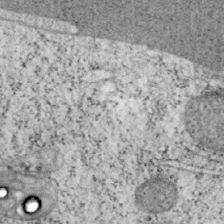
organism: Mouse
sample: OT-I killer T cells with ID8 ovarian cancer cells